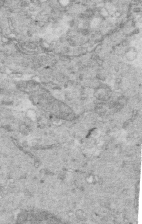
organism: Mouse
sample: Multiciliated cells